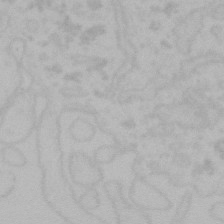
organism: Mouse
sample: Choroid plexus